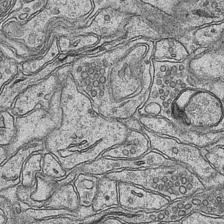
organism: Mouse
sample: CA1 Hippocampus